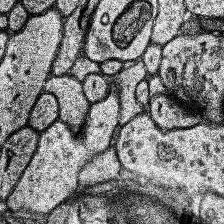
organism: Human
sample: Temporal Lobe